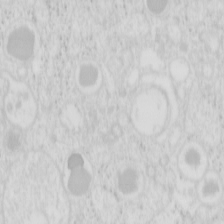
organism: Mouse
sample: Pancreas